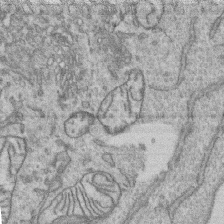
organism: Human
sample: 1205lu cells